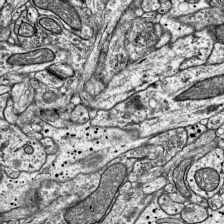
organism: Mouse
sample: Visual Cortex